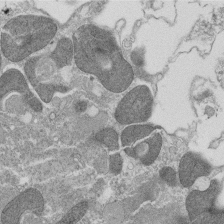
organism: Tetrahymena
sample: Cilia in tetrahymena